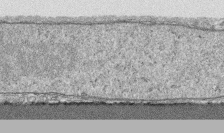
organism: Human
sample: CRL-1474